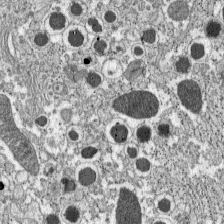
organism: C57BL Mouse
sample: Pancreatic islet